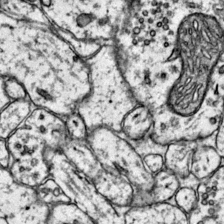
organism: Mouse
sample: Primary visual cortex